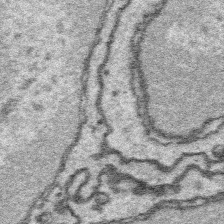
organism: Platynereis dumerilii